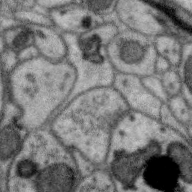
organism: Zebra finch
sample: Brain